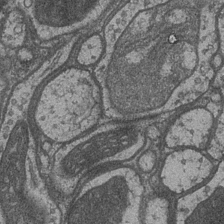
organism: Drosophila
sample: Optic medulla